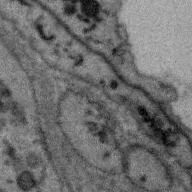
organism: Zebra finch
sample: Brain